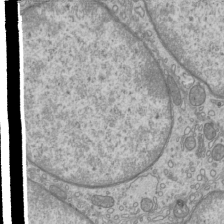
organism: Mouse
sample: Cilia; mouse epididymis